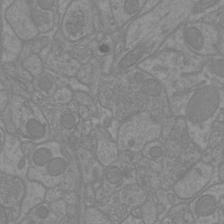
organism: Mouse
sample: Cortical neurons